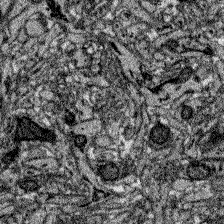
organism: Zebrafish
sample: Larval olfactory bulb